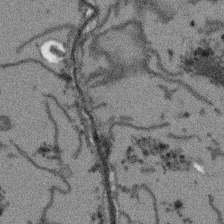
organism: Arabidopsis thaliana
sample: Root tip